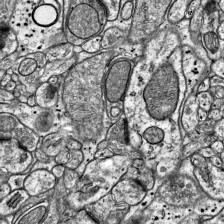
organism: Mouse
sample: Visual Cortex